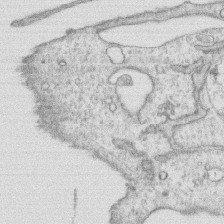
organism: Human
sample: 1205lu cells